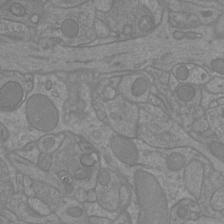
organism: Mouse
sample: Cortical neurons